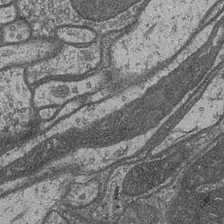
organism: Drosophila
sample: Optic medulla